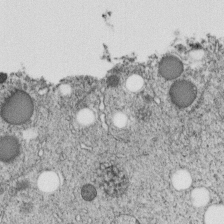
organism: C. elegans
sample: C. elegans embryo early stage